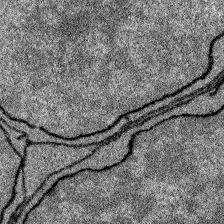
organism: Zebrafish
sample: Larval olfactory bulb